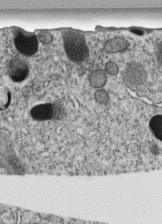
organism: C. elegans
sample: C. elegans embryo early stage